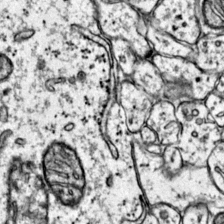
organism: Mouse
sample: Primary visual cortex